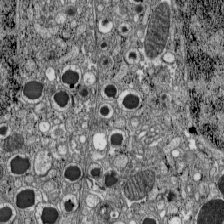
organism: C57BL Mouse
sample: Pancreatic islet